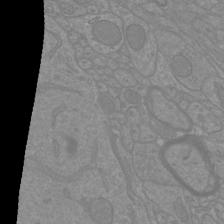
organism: Mouse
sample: Cortical neurons